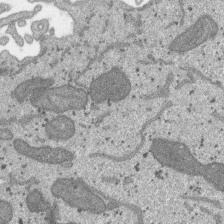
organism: Human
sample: Lung epithelial cells infected with SARS-CoV-2